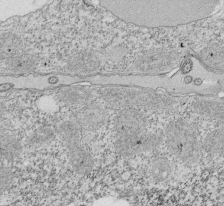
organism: Tetrahymena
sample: Cilia in tetrahymena